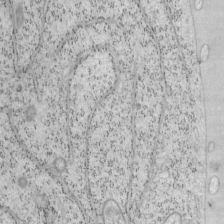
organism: Mouse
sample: OT-I killer T cells with ID8 ovarian cancer cells